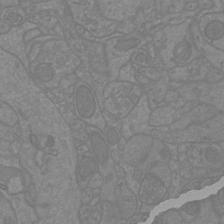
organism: Mouse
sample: Cortical neurons